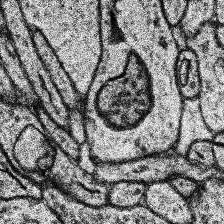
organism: Human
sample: Temporal Lobe